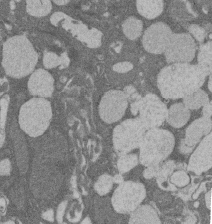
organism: Rat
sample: Salivary granule